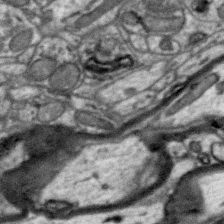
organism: Zebra finch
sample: Brain